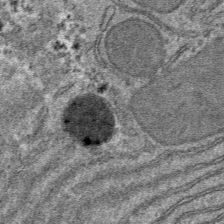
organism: Mouse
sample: Mouse hepatocytes